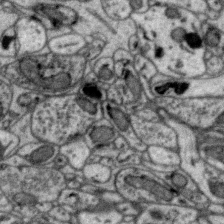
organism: Zebra finch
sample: Brain